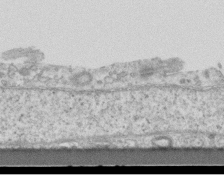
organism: Mouse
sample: Centriole in ependymal cells